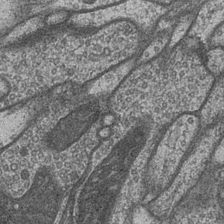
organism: Drosophila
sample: Optic medulla